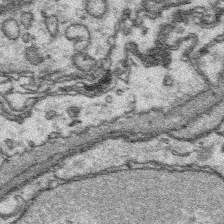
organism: Platynereis dumerilii